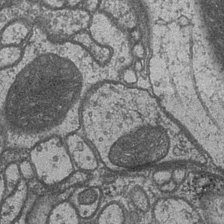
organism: Drosophila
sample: Optic medulla